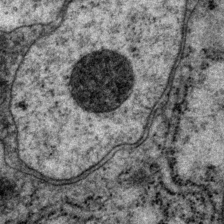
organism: P. pacificus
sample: Pharynx